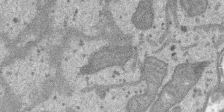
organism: Human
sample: Lung epithelial cells infected with SARS-CoV-2